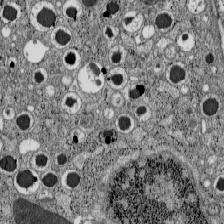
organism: C57BL Mouse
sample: Pancreatic islet